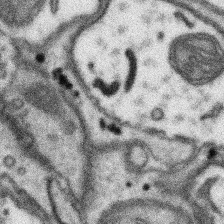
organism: Mouse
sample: Somatosensory cortex neuropil